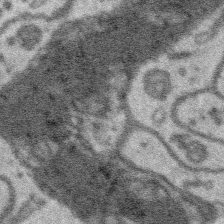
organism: Platynereis dumerilii